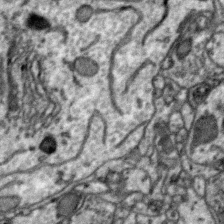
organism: Zebra finch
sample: Brain